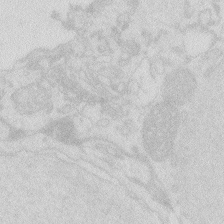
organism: Zebrafish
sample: Macrophage